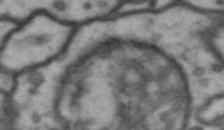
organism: Drosophila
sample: Brain